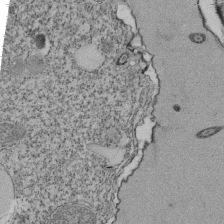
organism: Tetrahymena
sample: Cilia in tetrahymena